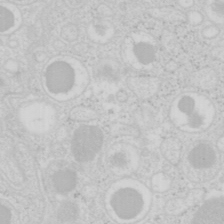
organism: Mouse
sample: Pancreas